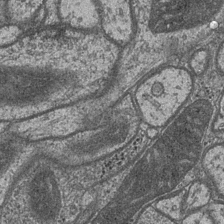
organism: Drosophila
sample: Optic medulla